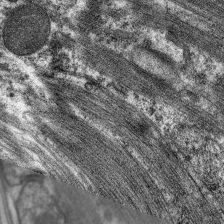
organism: C. elegans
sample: Pharynx